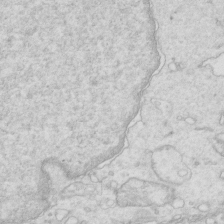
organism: Mouse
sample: Multiciliated cells